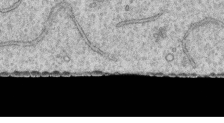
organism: Human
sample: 1205lu cells